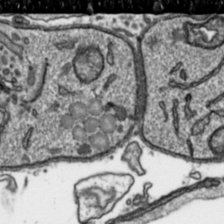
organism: Toxoplasma gondii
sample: Parasites in a vacuole inside a host cell